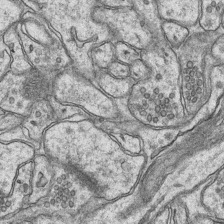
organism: Mouse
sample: CA1 Hippocampus